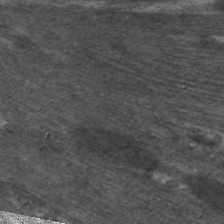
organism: C. elegans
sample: Pharynx